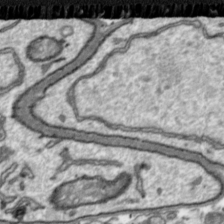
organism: Toxoplasma gondii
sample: Parasites in a vacuole inside a host cell